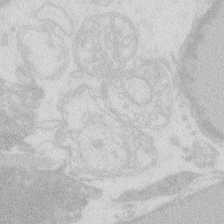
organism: Zebrafish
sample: Macrophage